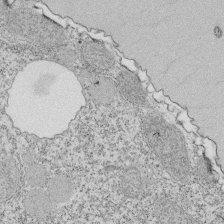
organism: Tetrahymena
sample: Cilia in tetrahymena